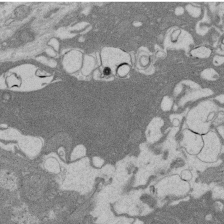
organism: Rat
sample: Salivary granule